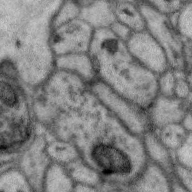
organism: Zebra finch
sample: Brain